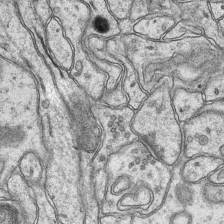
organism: Mouse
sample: CA1 Hippocampus